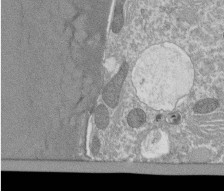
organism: Tetrahymena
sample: Cilia in tetrahymena